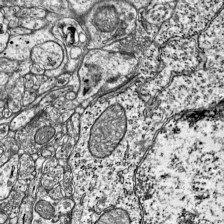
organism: Mouse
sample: Visual Cortex